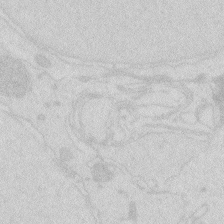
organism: Zebrafish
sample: Macrophage